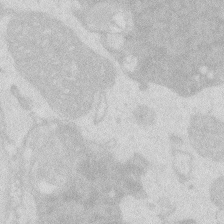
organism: Zebrafish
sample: Macrophage